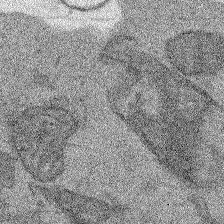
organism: Human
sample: HeLa cells